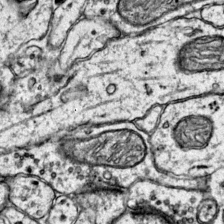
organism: Mouse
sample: Primary visual cortex